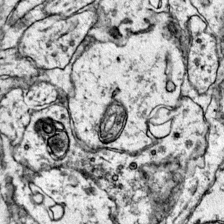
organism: Mouse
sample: Primary visual cortex